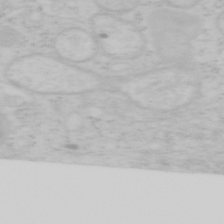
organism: Mouse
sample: OT-I killer T cells with ID8 ovarian cancer cells